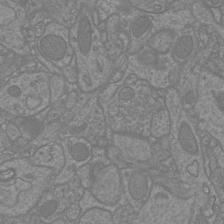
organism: Mouse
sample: Cortical neurons